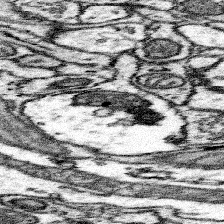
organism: Mouse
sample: Somatosensory cortex neuropil